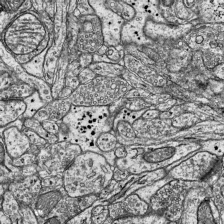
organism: Mouse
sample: Visual Cortex